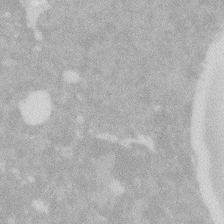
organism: Zebrafish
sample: Macrophage